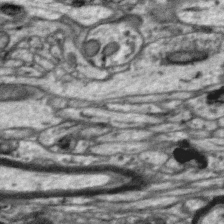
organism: Zebra finch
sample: Brain